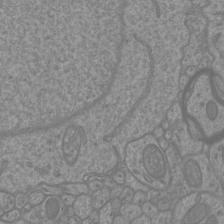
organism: Mouse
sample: Cortical neurons